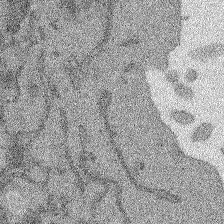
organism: Human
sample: HeLa cells